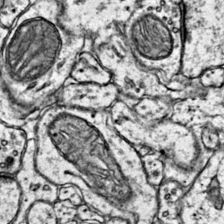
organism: Mouse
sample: Primary visual cortex